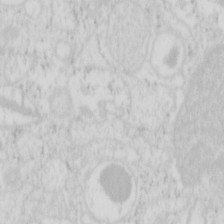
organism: Mouse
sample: Pancreas